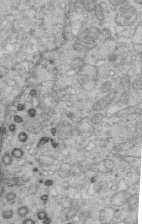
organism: Mouse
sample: Multiciliated cells